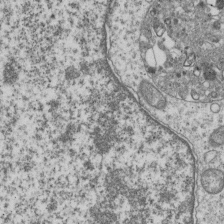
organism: Human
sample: MDA-MB-231 cells